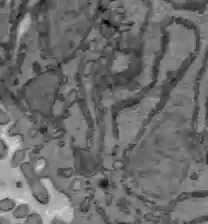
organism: C57BL Mouse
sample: Liver